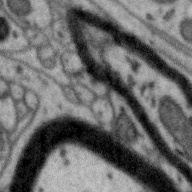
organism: Zebra finch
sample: Brain